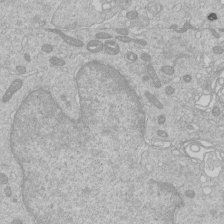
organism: Human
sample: Macrophage cells